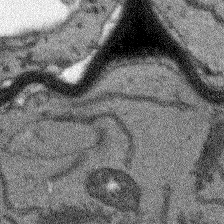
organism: Arabidopsis thaliana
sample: Root tip